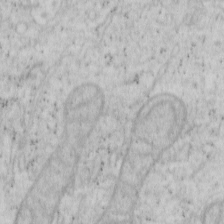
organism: Human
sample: HeLa cells